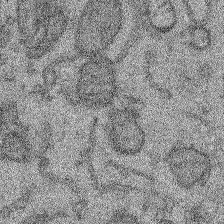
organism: Human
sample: HeLa cells